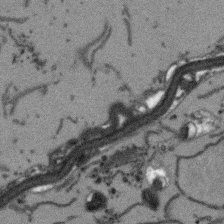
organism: Arabidopsis thaliana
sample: Root tip